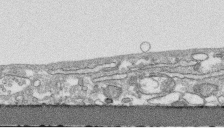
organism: Human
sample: CRL-1474